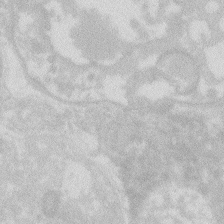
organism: Zebrafish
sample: Macrophage